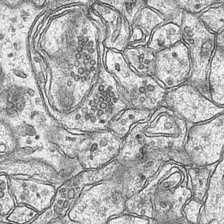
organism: Mouse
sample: CA1 Hippocampus